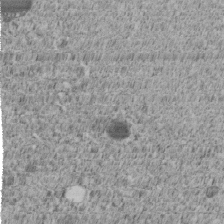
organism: C. elegans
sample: C. elegans embryo early stage